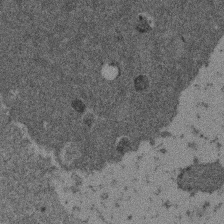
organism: Mouse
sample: Dividing mouse embryo 1 cell stage